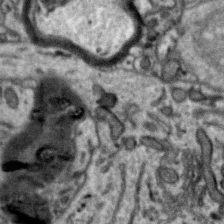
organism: Zebra finch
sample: Brain